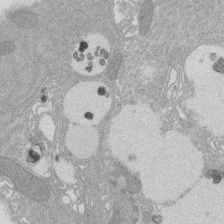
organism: Rat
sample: Salivary granule